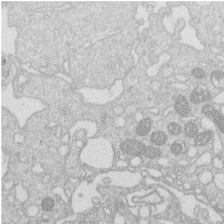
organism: Human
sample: Macrophage cells